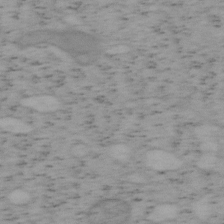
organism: Mouse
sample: OT-I killer T cells with ID8 ovarian cancer cells